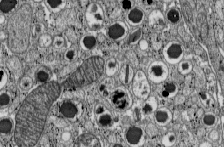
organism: C57BL Mouse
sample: Pancreatic islet